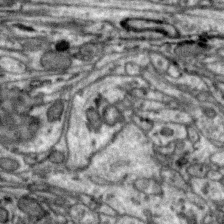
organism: Zebra finch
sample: Brain